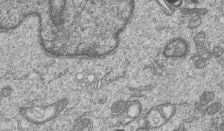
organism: Human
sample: MDA-MB-231 cells